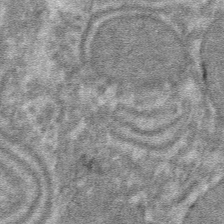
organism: Mouse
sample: Mouse hepatocytes